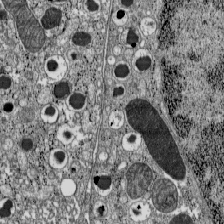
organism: C57BL Mouse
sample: Pancreatic islet